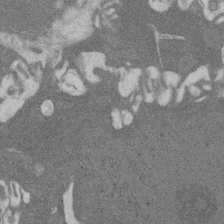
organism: Rat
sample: Salivary granule